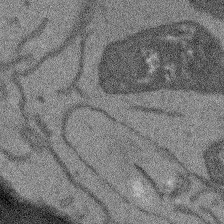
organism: Arabidopsis thaliana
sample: Root tip